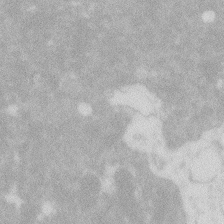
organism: Zebrafish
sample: Macrophage